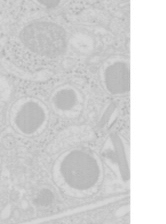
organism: Mouse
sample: Pancreas